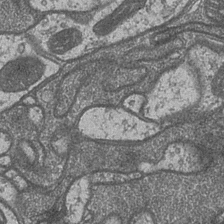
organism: Drosophila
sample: Optic medulla